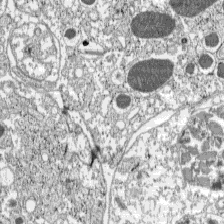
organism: C57BL Mouse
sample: Pancreatic islet